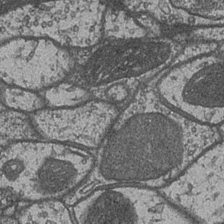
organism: Drosophila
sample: Optic medulla